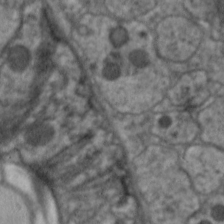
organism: C. elegans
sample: Pharynx